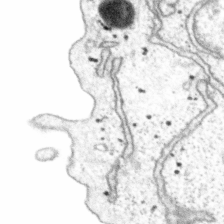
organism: Human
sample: HeLa cells